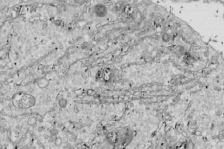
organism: Drosophila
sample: Cell division; meiosis; drosophila spermatocytes